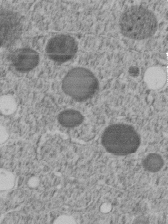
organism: C. elegans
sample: C. elegans embryo early stage